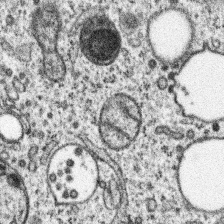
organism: Human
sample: HeLa cells